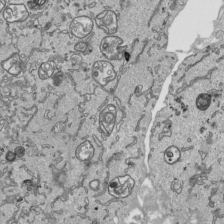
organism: Human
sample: Mitochondria in HCT116 cells